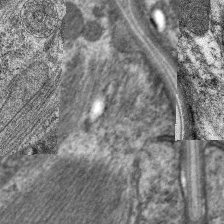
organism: C. elegans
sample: Pharynx